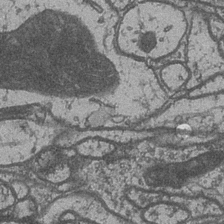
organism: Drosophila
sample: Optic medulla